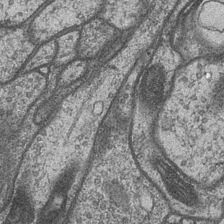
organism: Drosophila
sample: Optic medulla